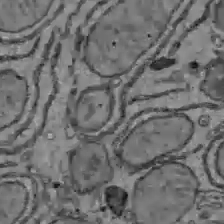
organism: C57BL Mouse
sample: Liver